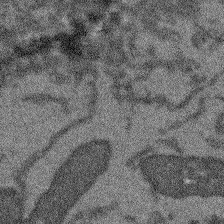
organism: Arabidopsis thaliana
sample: Root tip